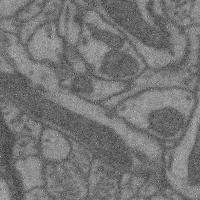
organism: Mouse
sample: Cerebral cortex